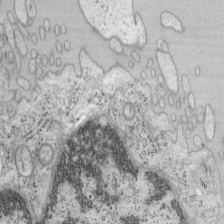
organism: Mouse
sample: OT-I killer T cells with ID8 ovarian cancer cells